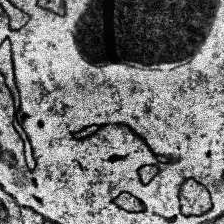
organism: Human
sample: Temporal Lobe